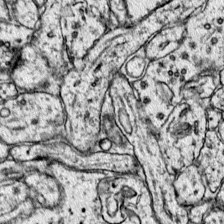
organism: Mouse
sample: Primary visual cortex